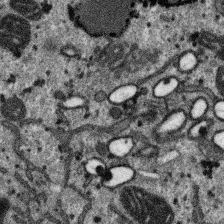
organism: Human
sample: Lung epithelial cells infected with SARS-CoV-2